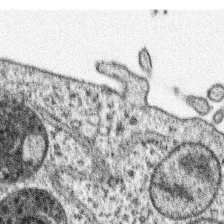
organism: Human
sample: HeLa cells